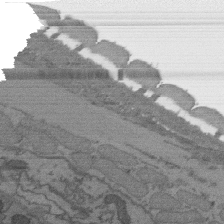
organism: C. elegans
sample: AFD neurons C. elegans